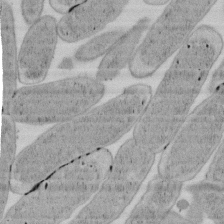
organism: E. coli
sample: Bacterial nucleoid